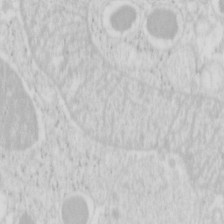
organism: Mouse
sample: Pancreas